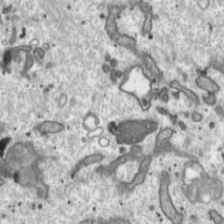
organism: Toxoplasma gondii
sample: Parasites in a vacuole inside a host cell